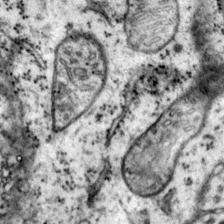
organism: Mouse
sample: Primary visual cortex